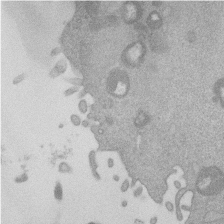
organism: Mouse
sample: Dividing mouse embryo 1 cell stage